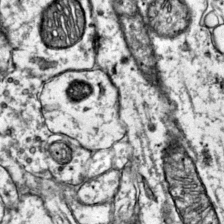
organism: Mouse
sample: Primary visual cortex